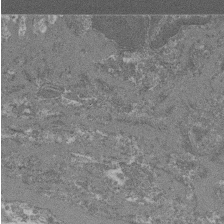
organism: Mouse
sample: Glomerulus